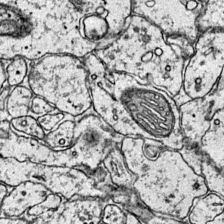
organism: Mouse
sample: Primary visual cortex